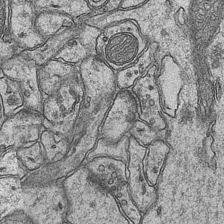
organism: Mouse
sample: CA1 Hippocampus